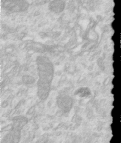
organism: Human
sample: Centriole in RPE cells